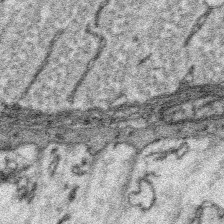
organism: Platynereis dumerilii